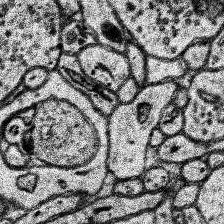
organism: Human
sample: Temporal Lobe